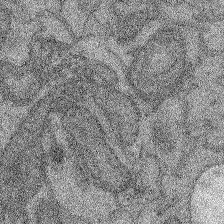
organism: Human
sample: HeLa cells